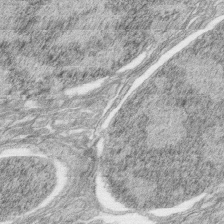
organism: Zebrafish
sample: synaptic ribbons in rod cells and cone cells